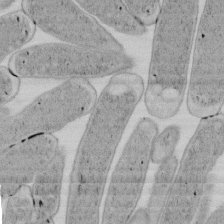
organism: E. coli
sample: Bacterial nucleoid